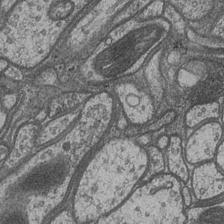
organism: Drosophila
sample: Optic medulla